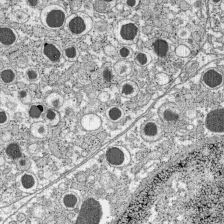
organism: C57BL Mouse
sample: Pancreatic islet